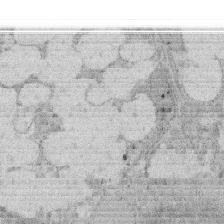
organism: Rat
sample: Salivary granule